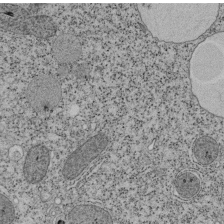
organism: Tetrahymena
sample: Cilia in tetrahymena